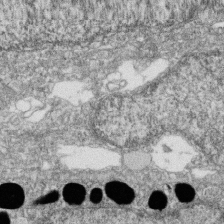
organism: Zebrafish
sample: Cilia; retinal pigment epithelium